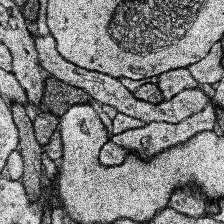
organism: Human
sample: Temporal Lobe